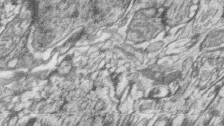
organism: Zebrafish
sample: synaptic ribbons in rod cells and cone cells